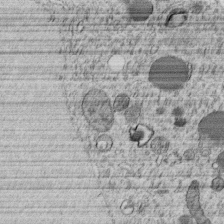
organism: C. elegans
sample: C. elegans embryo early stage